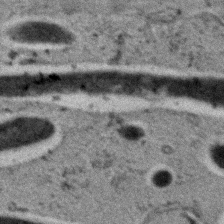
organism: C. elegans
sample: C. elegans embryo